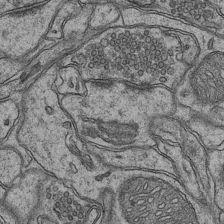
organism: Mouse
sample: CA1 Hippocampus